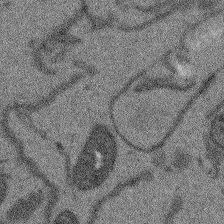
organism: Arabidopsis thaliana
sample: Root tip